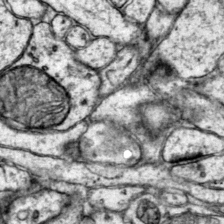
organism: Mouse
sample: Primary visual cortex